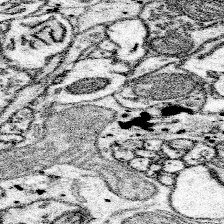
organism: Mouse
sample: Somatosensory cortex neuropil